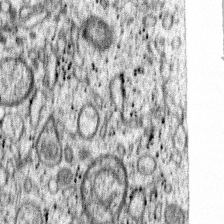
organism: Human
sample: HeLa cells